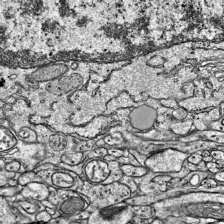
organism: Mouse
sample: Visual Cortex